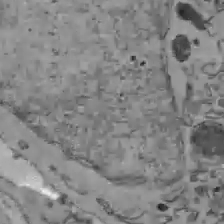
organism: C57BL Mouse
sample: Liver